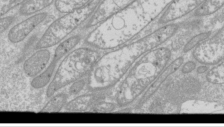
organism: Drosophila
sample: Cell division; meiosis; drosophila spermatocytes